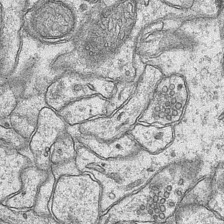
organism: Mouse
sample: CA1 Hippocampus